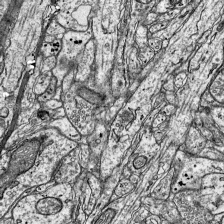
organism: Mouse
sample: Visual Cortex